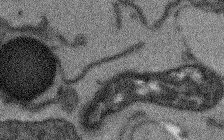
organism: Arabidopsis thaliana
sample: Root tip